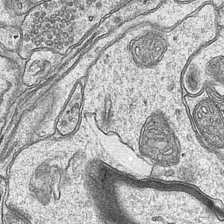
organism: Mouse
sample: CA1 Hippocampus